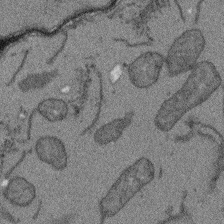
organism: Arabidopsis thaliana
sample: Root tip